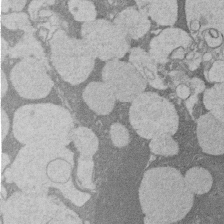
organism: Rat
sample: Salivary granule